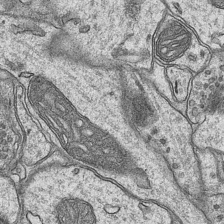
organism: Mouse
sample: CA1 Hippocampus